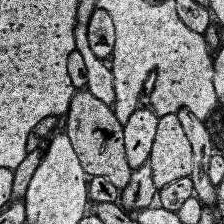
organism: Human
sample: Temporal Lobe